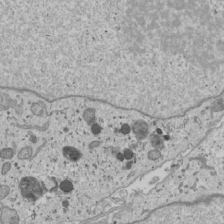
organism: Human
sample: Mitochondria in U2OS cells